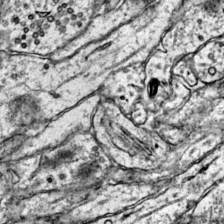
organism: Mouse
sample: Primary visual cortex